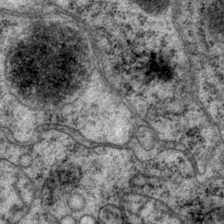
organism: P. pacificus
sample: Pharynx